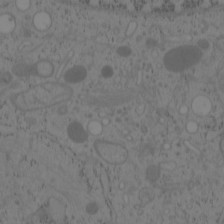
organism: Human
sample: HeLa cells